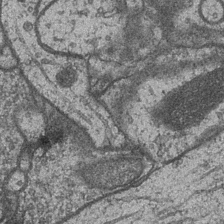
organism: Drosophila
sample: Optic medulla